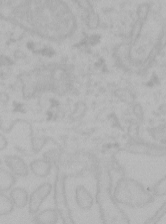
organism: Mouse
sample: Choroid plexus